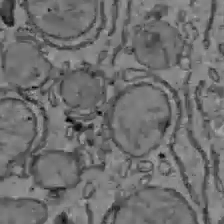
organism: C57BL Mouse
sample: Liver